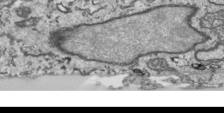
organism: Human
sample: Mitochondria in HCT116 cells